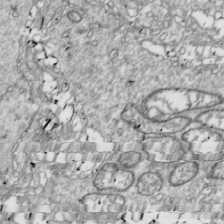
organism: Drosophila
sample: Cell division; meiosis; drosophila spermatocytes